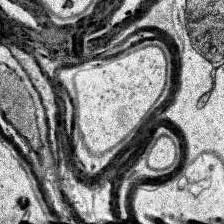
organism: Human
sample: Temporal Lobe